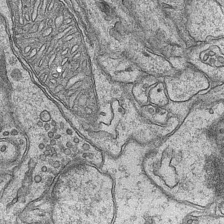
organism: Mouse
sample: CA1 Hippocampus